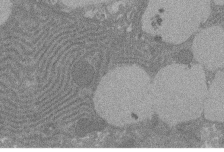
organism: Rat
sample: Salivary granule